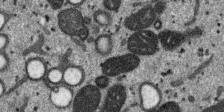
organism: Human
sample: Lung epithelial cells infected with SARS-CoV-2